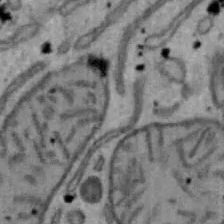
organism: Mouse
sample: Liver